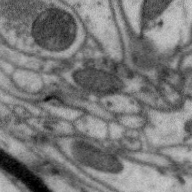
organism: Zebra finch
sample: Brain